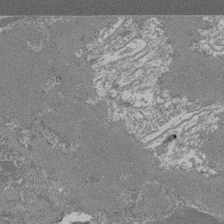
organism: Mouse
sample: Glomerulus